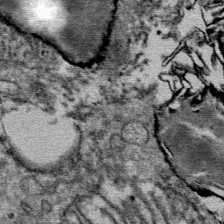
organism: Mouse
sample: Mouse Salivary gland